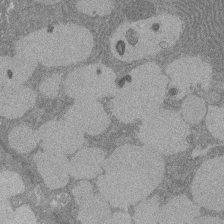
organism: Rat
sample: Salivary granule